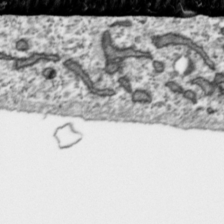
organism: Toxoplasma gondii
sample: Parasites in a vacuole inside a host cell